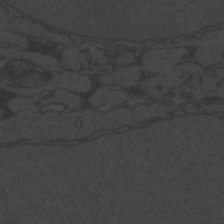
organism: Zebrafish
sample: Macrophage infected with Toxoplasma gondii